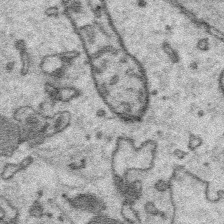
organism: Platynereis dumerilii